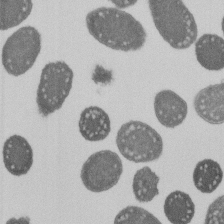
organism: E. coli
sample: Bacterial nucleoid